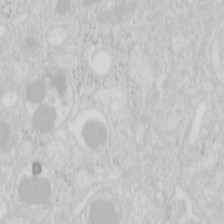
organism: Mouse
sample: Pancreas